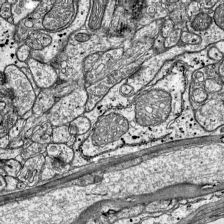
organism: Mouse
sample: Visual Cortex